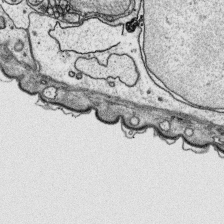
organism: Platynereis dumerilii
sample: Parapodia